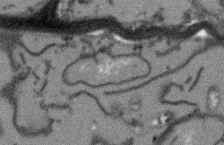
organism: Arabidopsis thaliana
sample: Root tip